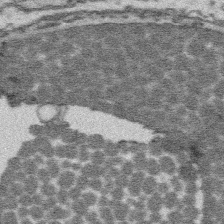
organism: Platynereis dumerilii